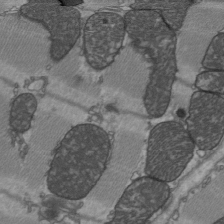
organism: C57BL Mouse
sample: Heart